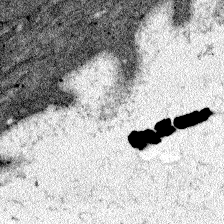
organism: Zebrafish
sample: Larval olfactory bulb